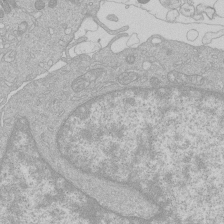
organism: Human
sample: Macrophage cells